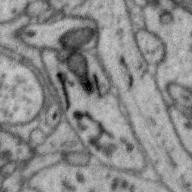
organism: Zebra finch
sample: Brain